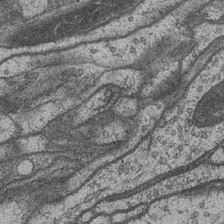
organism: Drosophila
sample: Optic medulla